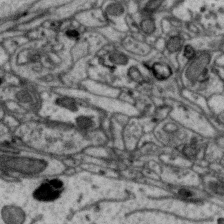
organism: Zebra finch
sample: Brain